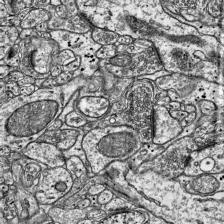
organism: Mouse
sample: Visual Cortex